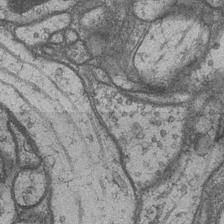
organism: Drosophila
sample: Optic medulla